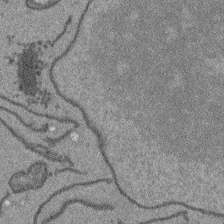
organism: Arabidopsis thaliana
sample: Root tip